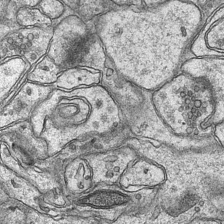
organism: Mouse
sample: CA1 Hippocampus